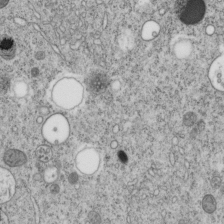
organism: C. elegans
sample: C. elegans embryo early stage